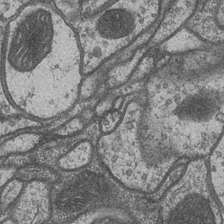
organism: Drosophila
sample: Optic medulla